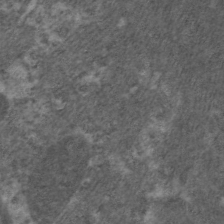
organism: C. elegans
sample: Pharynx